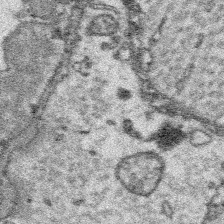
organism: Platynereis dumerilii